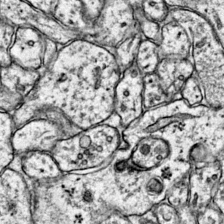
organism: Mouse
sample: Primary visual cortex